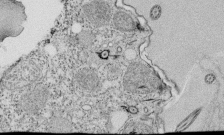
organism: Tetrahymena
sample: Cilia in tetrahymena